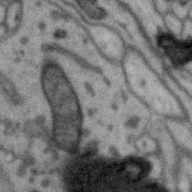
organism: Zebra finch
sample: Brain